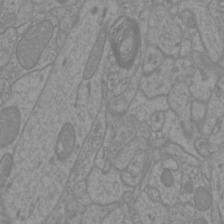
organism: Mouse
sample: Cortical neurons